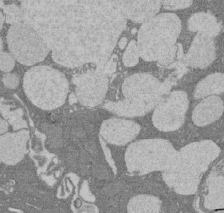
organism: Rat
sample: Salivary granule